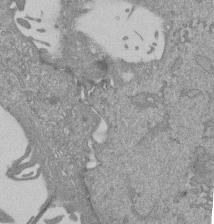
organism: Mouse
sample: ED-1 cell nuclei; centrioles